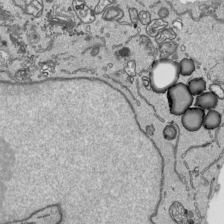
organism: Human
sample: Mitochondria in HCT116 cells